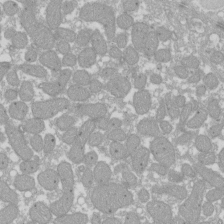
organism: Xenopus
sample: Cilia; centrioles in frog embryo cells